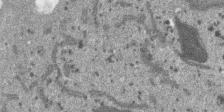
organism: Human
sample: Lung epithelial cells infected with SARS-CoV-2